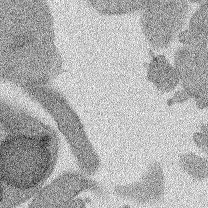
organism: Human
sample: HeLa cells